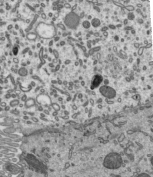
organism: Mouse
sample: Mouse epididymis efferent ductule cilia